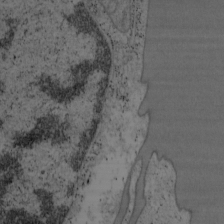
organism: Mouse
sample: OT-I killer T cells with ID8 ovarian cancer cells